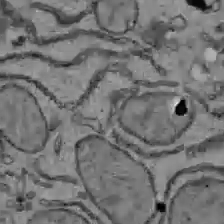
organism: C57BL Mouse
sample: Liver